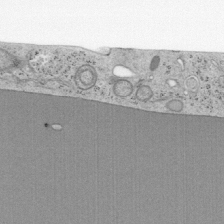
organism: Human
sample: HeLa cells